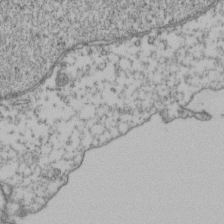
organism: Human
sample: Activated Jurkat CD4+ T cells